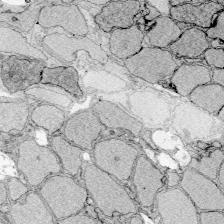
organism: Zebrafish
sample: Whole-Brain